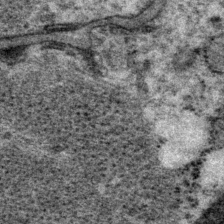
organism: P. pacificus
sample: Pharynx